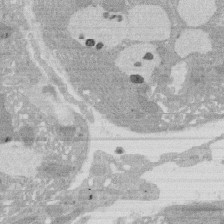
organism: Rat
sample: Salivary granule